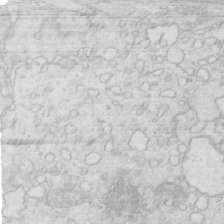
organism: Mouse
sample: Multiciliated cells